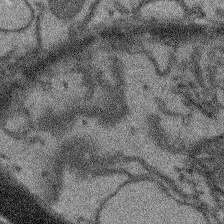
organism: Arabidopsis thaliana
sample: Root tip